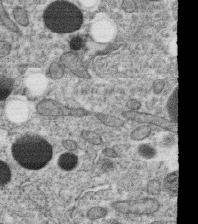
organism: C. elegans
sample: C. elegans oocyte; sperm cells